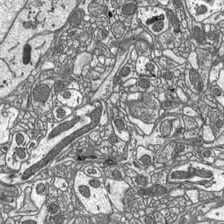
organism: C57BL Mouse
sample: Optic nerve head